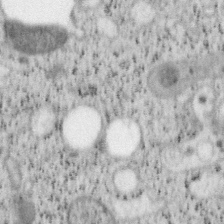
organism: Mouse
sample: OT-I killer T cells with ID8 ovarian cancer cells